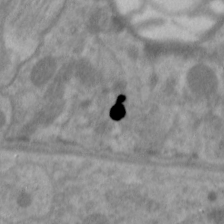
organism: C. elegans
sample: Pharynx